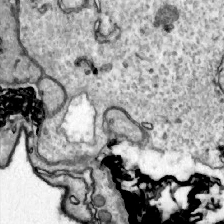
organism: Zebrafish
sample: Actinotrichia fibers